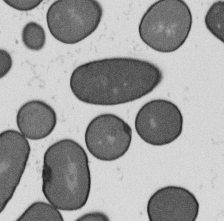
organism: B. subtilis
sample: Bacterial spore